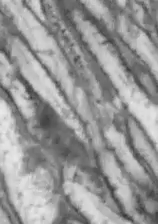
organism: Drosophila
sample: Optic lobe